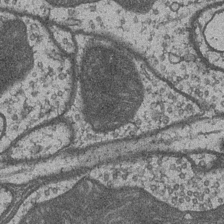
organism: Drosophila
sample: Optic medulla